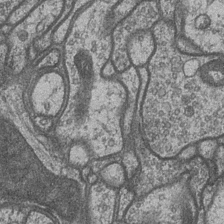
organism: Drosophila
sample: Optic medulla